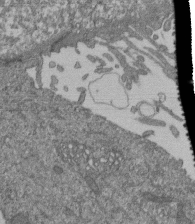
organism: Human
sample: Retinal organoid Rod and Cone cells